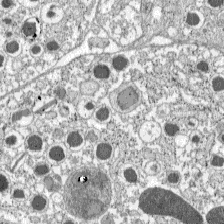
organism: C57BL Mouse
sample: Pancreatic islet